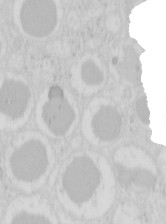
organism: Mouse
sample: Pancreas